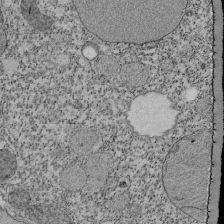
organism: Tetrahymena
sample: Cilia in tetrahymena